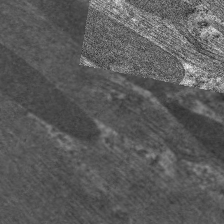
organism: C. elegans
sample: Pharynx